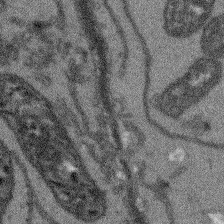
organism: Arabidopsis thaliana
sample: Root tip